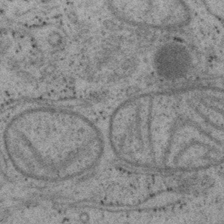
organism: Human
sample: HeLa cells